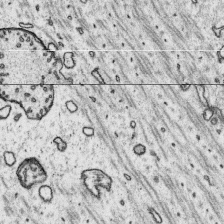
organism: Platynereis dumerilii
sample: Parapodia